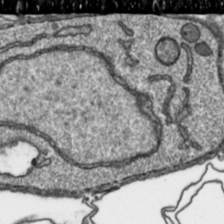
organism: Toxoplasma gondii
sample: Parasites in a vacuole inside a host cell